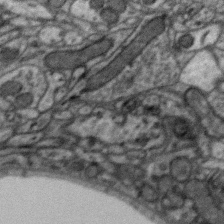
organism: Zebra finch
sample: Brain